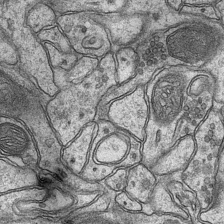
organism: Mouse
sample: CA1 Hippocampus